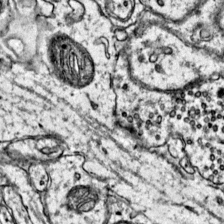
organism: Mouse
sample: Primary visual cortex